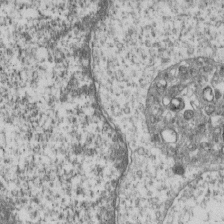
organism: Human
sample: MDA-MB-231 cells